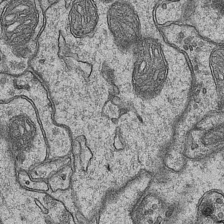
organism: Mouse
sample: CA1 Hippocampus